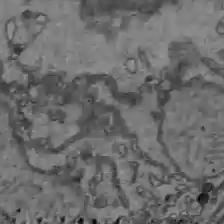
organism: C57BL Mouse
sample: Liver